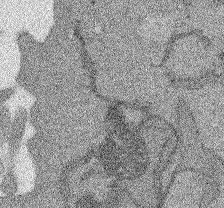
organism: Human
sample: HeLa cells